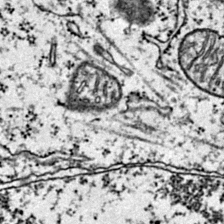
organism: Mouse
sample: Primary visual cortex